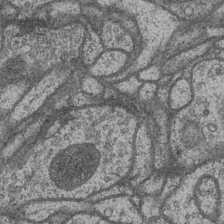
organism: Drosophila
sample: Optic medulla